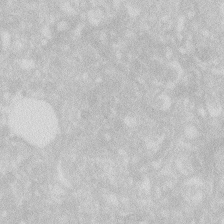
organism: Zebrafish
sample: Macrophage